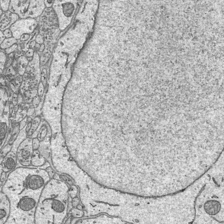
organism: Mouse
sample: Suprachiasmatic nucleus